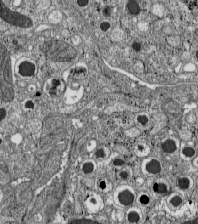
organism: C57BL Mouse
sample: Pancreatic islet